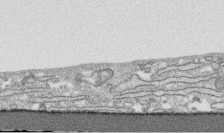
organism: Human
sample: CRL-1474